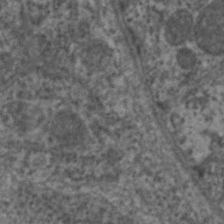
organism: C. elegans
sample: Pharynx